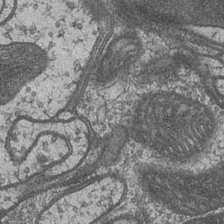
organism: Drosophila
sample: Optic medulla